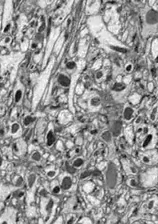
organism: Drosophila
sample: Optic lobe